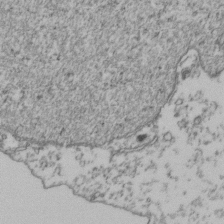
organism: Human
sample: Activated Jurkat CD4+ T cells